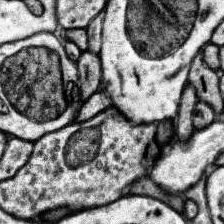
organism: Human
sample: Temporal Lobe